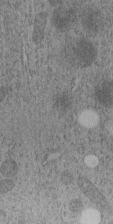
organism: C. elegans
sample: C. elegans embryo early stage